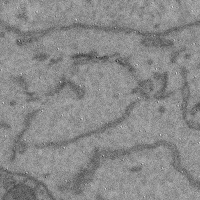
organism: Mouse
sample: Cerebral cortex